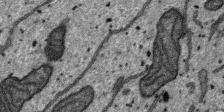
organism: Human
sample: Lung epithelial cells, uninfected (mock) control